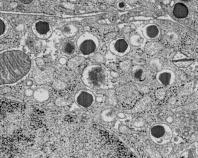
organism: C57BL Mouse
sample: Pancreatic islet